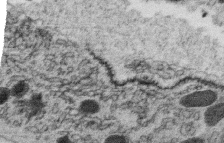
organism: C. elegans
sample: C. elegans oocyte; sperm cells